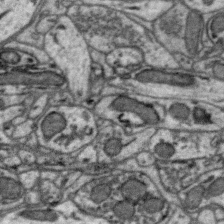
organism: Zebra finch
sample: Brain